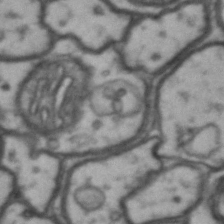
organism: Drosophila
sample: Brain